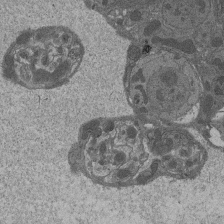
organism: Drosophila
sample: Antenna